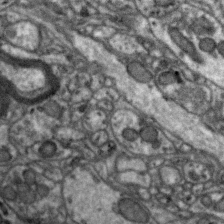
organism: Zebra finch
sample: Brain